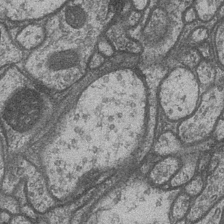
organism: Drosophila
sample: Optic medulla